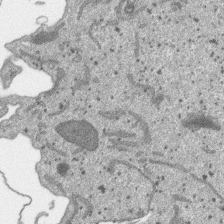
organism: Human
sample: Lung epithelial cells infected with SARS-CoV-2